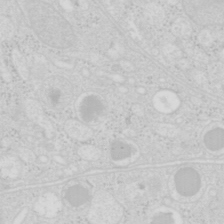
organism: Mouse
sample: Pancreas